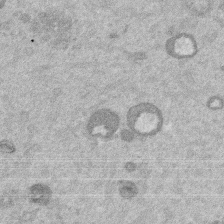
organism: Mouse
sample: Dividing mouse embryo 1 cell stage